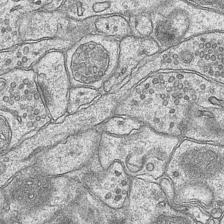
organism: Mouse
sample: CA1 Hippocampus